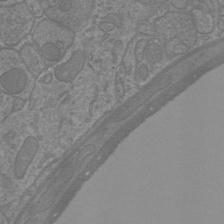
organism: Mouse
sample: Cortical neurons